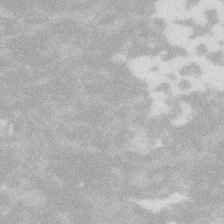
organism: Zebrafish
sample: Macrophage